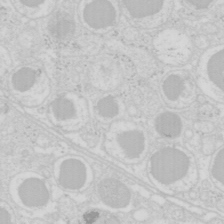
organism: Mouse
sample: Pancreas